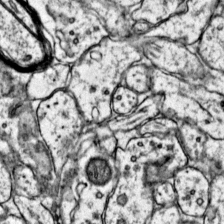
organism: Mouse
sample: Primary visual cortex